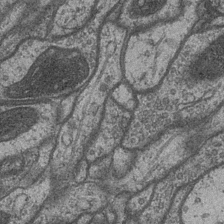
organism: Drosophila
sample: Optic medulla